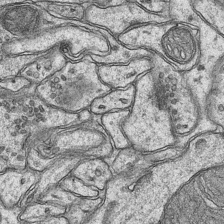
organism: Mouse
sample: CA1 Hippocampus